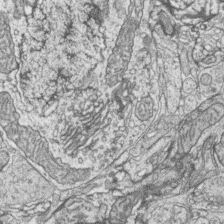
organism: Zebrafish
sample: synaptic ribbons in rod cells and cone cells